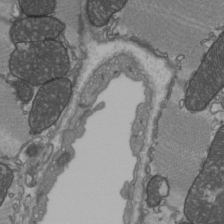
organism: C57BL Mouse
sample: Heart